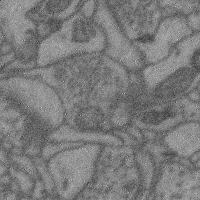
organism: Mouse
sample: Cerebral cortex